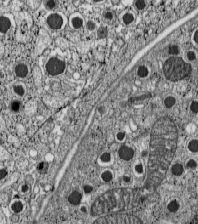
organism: C57BL Mouse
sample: Pancreatic islet